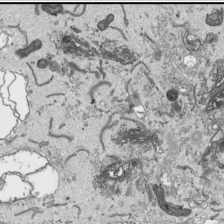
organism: Human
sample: Mitochondria in HCT116 cells